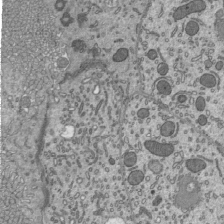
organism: Mouse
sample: Mouse epididymis efferent ductule cilia